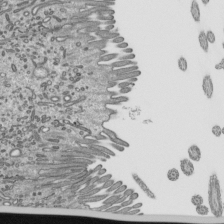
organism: Mouse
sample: Mouse epididymis efferent ductule cilia